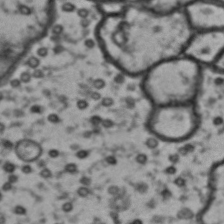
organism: Drosophila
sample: Brain